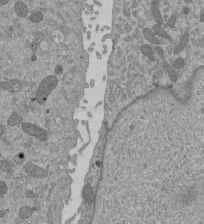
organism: Mouse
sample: ED-1 cell nuclei; centrioles